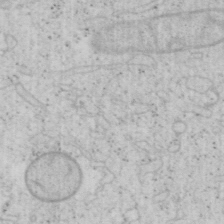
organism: Human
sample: HeLa cells